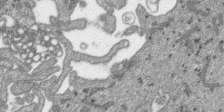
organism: Human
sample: Lung epithelial cells infected with SARS-CoV-2